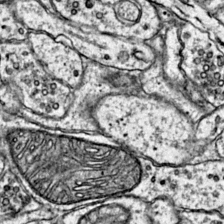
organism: Mouse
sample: Primary visual cortex